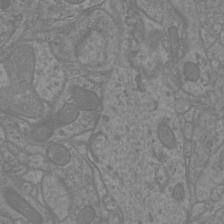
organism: Mouse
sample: Cortical neurons